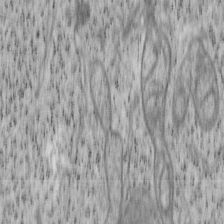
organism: Human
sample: HeLa cells